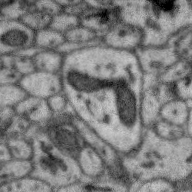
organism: Zebra finch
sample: Brain